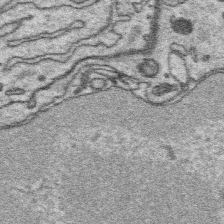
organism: Platynereis dumerilii